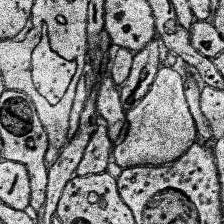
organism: Human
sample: Temporal Lobe